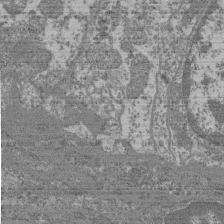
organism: Mouse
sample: Glomerulus